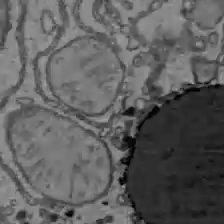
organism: C57BL Mouse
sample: Liver